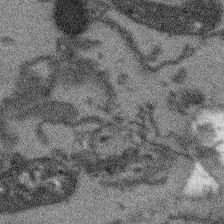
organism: Arabidopsis thaliana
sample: Root tip